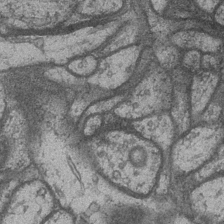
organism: Drosophila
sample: Optic medulla